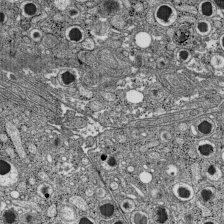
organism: C57BL Mouse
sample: Pancreatic islet